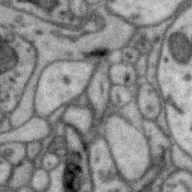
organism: Zebra finch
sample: Brain